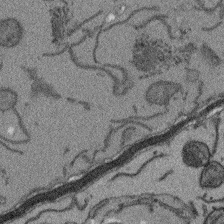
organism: Arabidopsis thaliana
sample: Root tip